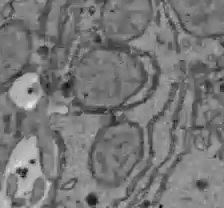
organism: C57BL Mouse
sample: Liver